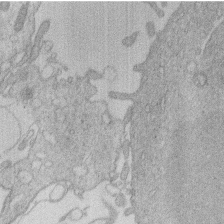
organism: Human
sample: Macrophage cells